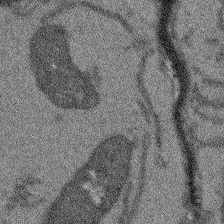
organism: Arabidopsis thaliana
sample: Root tip